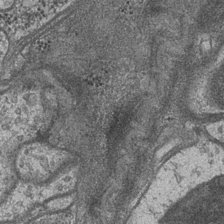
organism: Drosophila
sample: Optic medulla